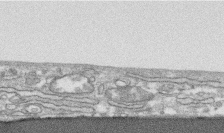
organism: Human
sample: CRL-1474